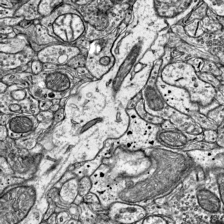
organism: Mouse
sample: Visual Cortex